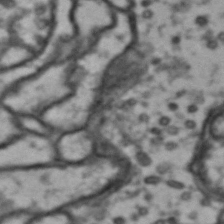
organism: Drosophila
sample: Brain